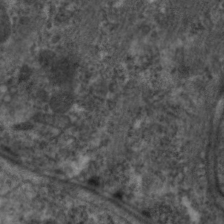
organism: C. elegans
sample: Pharynx